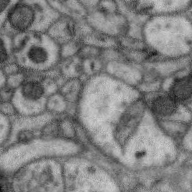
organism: Zebra finch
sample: Brain